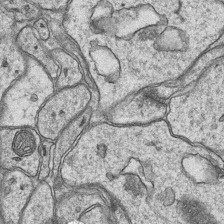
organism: Mouse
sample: CA1 Hippocampus